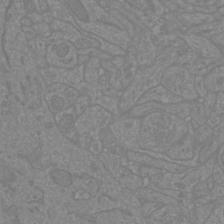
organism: Mouse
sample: Cortical neurons